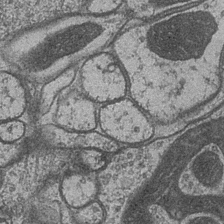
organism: Drosophila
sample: Optic medulla